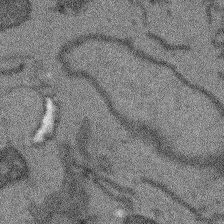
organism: Arabidopsis thaliana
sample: Root tip